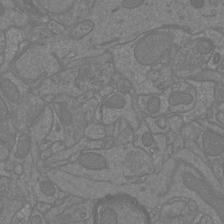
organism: Mouse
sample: Cortical neurons